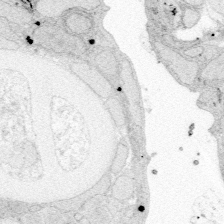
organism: Zebrafish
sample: Whole-Brain